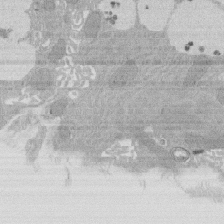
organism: Rat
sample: Salivary granule